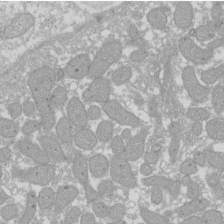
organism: Xenopus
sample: Cilia; centrioles in frog embryo cells